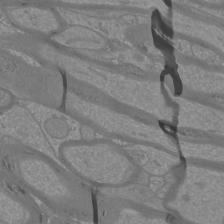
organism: Mouse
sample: Cortical neurons